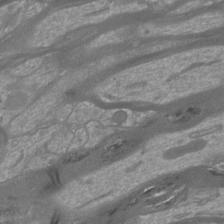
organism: Mouse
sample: Cortical neurons